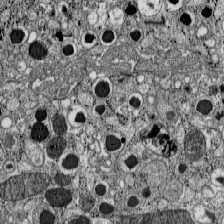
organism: C57BL Mouse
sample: Pancreatic islet